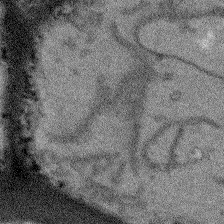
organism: Arabidopsis thaliana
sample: Root tip